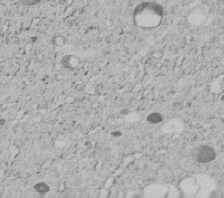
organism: C. elegans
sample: C. elegans embryo early stage